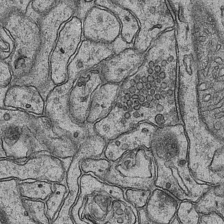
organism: Mouse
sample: CA1 Hippocampus